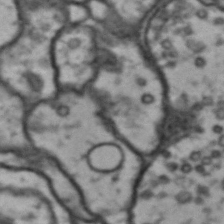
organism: Drosophila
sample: Brain